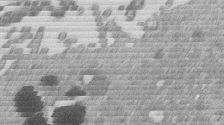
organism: Mouse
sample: Dividing mouse embryo 1 cell stage